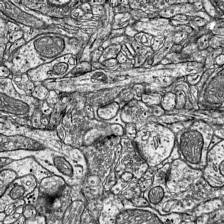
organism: Mouse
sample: Visual Cortex